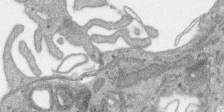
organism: Human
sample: Lung epithelial cells infected with SARS-CoV-2